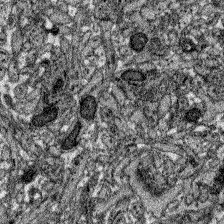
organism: Zebrafish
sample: Larval olfactory bulb